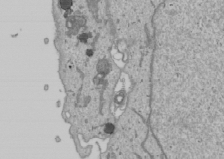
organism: Human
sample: Mitochondria in U2OS cells